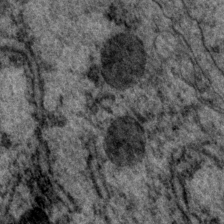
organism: P. pacificus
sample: Pharynx